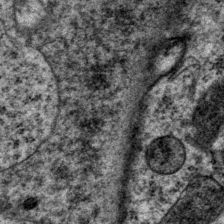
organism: P. pacificus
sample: Pharynx